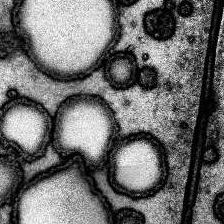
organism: Human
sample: Temporal Lobe